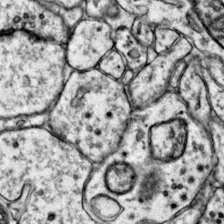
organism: Mouse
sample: Primary visual cortex